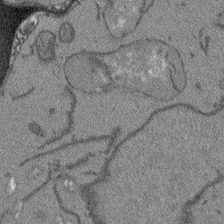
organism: Arabidopsis thaliana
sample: Root tip